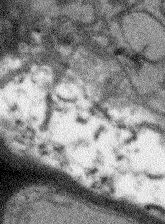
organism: Arabidopsis thaliana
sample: Root tip